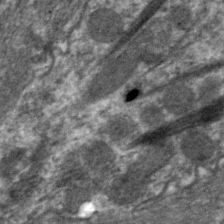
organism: C. elegans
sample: Pharynx